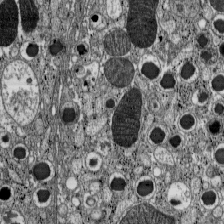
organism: C57BL Mouse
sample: Pancreatic islet